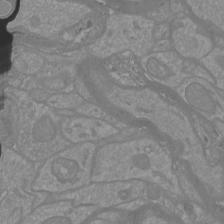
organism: Mouse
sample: Cortical neurons